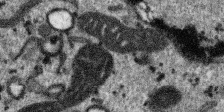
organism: Human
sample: Lung epithelial cells infected with SARS-CoV-2